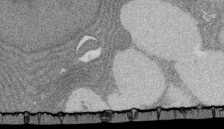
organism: Rat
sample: Salivary granule